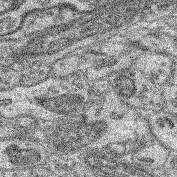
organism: Mouse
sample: Retina